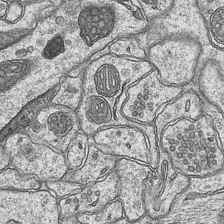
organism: Mouse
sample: CA1 Hippocampus